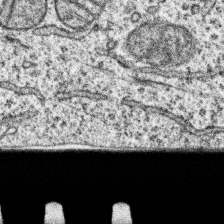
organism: Human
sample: HeLa cells